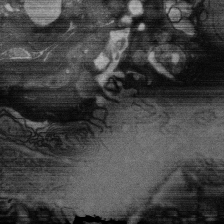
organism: Rat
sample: Salivary granule